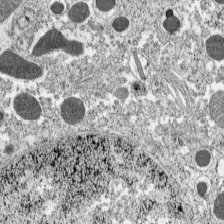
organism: C57BL Mouse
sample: Pancreatic islet